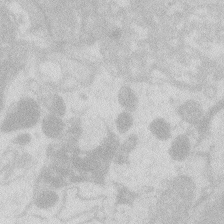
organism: Zebrafish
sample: Macrophage